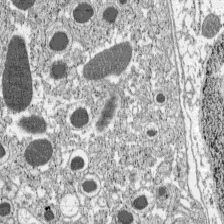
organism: C57BL Mouse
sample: Pancreatic islet